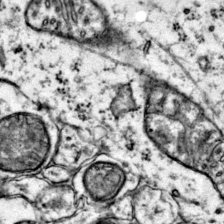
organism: Mouse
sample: Primary visual cortex